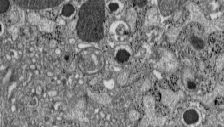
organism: C57BL Mouse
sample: Pancreatic islet